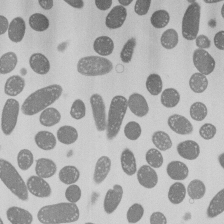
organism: E. coli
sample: Bacterial nucleoid